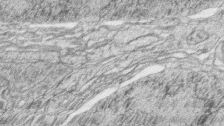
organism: Zebrafish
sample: synaptic ribbons in rod cells and cone cells